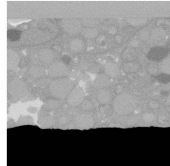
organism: C. elegans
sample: C. elegans oocyte; sperm cells